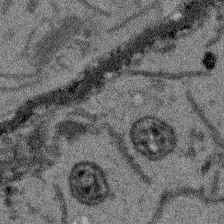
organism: Arabidopsis thaliana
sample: Root tip